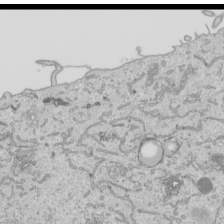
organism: Human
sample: Mitochondria in HCT116 cells